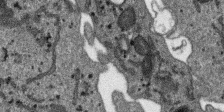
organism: Human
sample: Lung epithelial cells infected with SARS-CoV-2